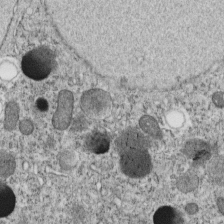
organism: C. elegans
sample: C. elegans embryo early stage